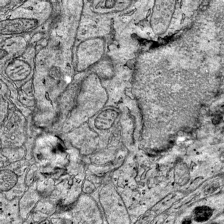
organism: Mouse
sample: Visual Cortex